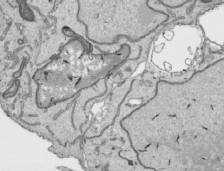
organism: Human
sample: Mitochondria in HCT116 cells